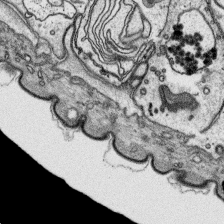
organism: Platynereis dumerilii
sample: Parapodia